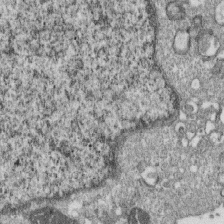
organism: African green monkey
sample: Vero E6 cells infected with SARS-CoV-2